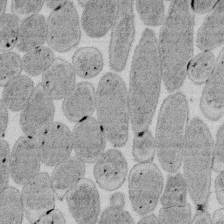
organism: E. coli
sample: Bacterial nucleoid